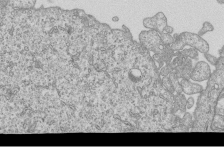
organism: Human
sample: MDA-MB-231 cells